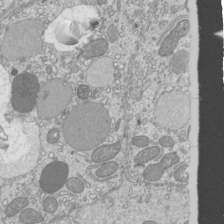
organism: Mouse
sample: Cilia; mouse epididymis